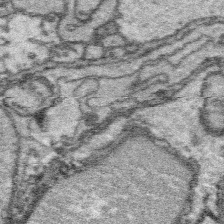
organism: Platynereis dumerilii